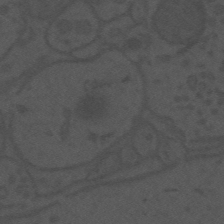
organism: Mouse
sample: Suprachiasmatic nucleus